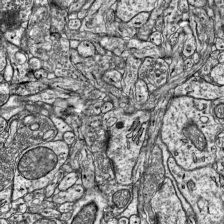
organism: Mouse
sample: Visual Cortex